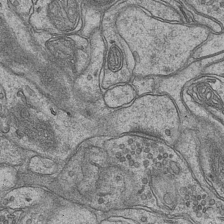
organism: Mouse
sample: CA1 Hippocampus